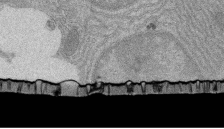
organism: Rat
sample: Salivary granule